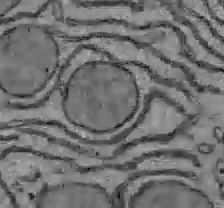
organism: C57BL Mouse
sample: Liver